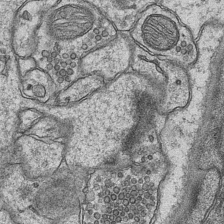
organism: Mouse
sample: CA1 Hippocampus